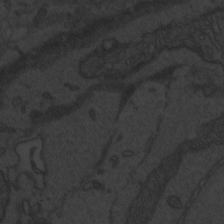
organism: Zebrafish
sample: Macrophage infected with Toxoplasma gondii